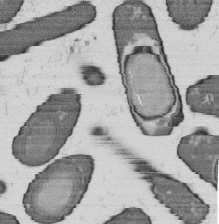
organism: B. subtilis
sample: Bacterial spore